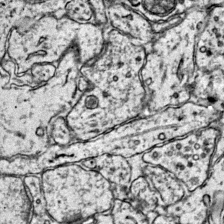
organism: Mouse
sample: Primary visual cortex